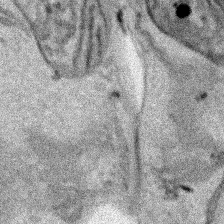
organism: Human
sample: Mitochondria in HCT116 cells